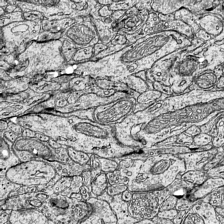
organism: Mouse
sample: Visual Cortex